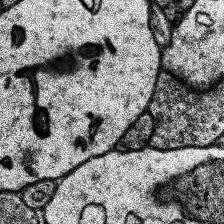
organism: Human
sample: Temporal Lobe